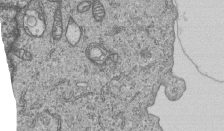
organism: Human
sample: MDA-MB-231 cells